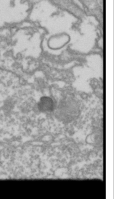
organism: Drosophila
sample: Cell division; meiosis; drosophila spermatocytes